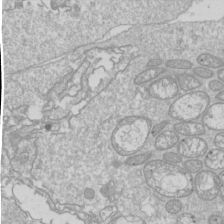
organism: Drosophila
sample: Cell division; meiosis; drosophila spermatocytes